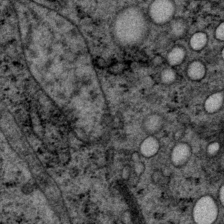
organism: P. pacificus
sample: Pharynx